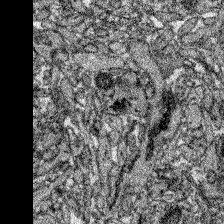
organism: Zebrafish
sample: Larval olfactory bulb